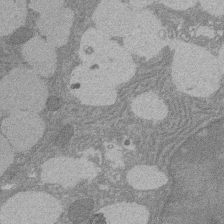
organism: Rat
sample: Salivary granule